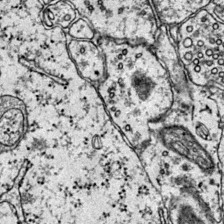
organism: Mouse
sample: Primary visual cortex